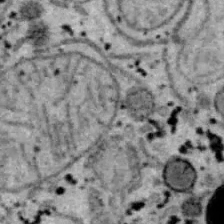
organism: Mouse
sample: Liver from an obese (ob/ob) mouse